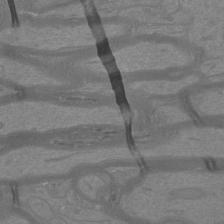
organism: Mouse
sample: Cortical neurons